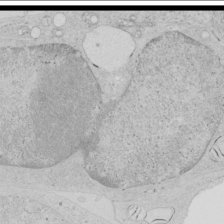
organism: Human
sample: Mitochondria in HCT116 cells